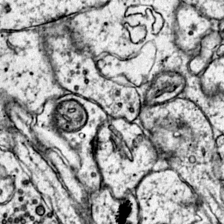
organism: Mouse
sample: Primary visual cortex